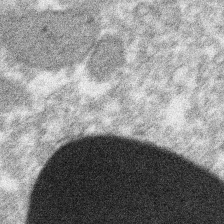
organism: Xenopus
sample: Cilia; centrioles in frog embryo cells